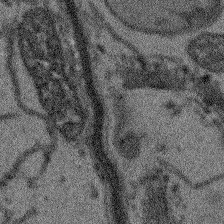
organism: Arabidopsis thaliana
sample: Root tip